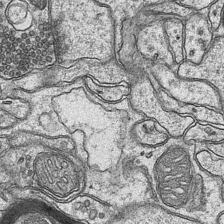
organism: Mouse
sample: CA1 Hippocampus